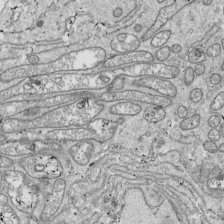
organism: Drosophila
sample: Cell division; meiosis; drosophila spermatocytes